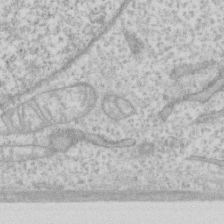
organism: Human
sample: Fibroblast cells